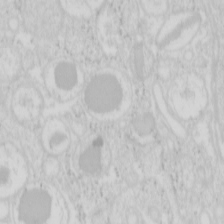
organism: Mouse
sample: Pancreas